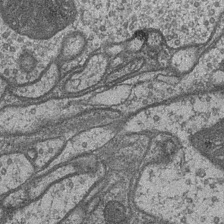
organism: Drosophila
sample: Optic medulla